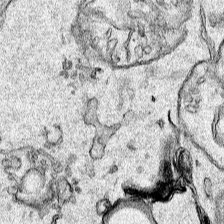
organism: Human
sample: Mitochondria in HCT116 cells